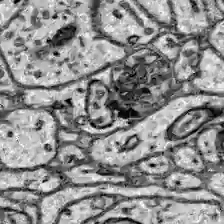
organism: Zebrafish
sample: Brain